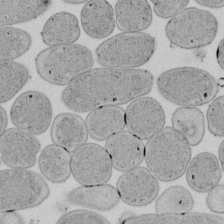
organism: E. coli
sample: Bacterial nucleoid